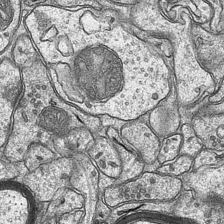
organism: Mouse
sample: CA1 Hippocampus